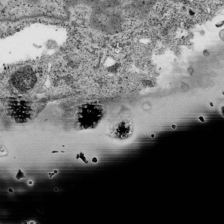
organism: Human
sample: Mitochondria in HCT116 cells